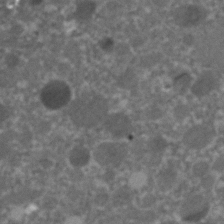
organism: C. elegans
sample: C. elegans embryo